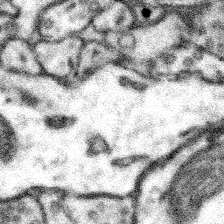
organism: Mouse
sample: Somatosensory cortex neuropil